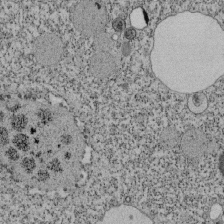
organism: Tetrahymena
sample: Cilia in tetrahymena